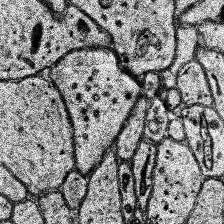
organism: Human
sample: Temporal Lobe